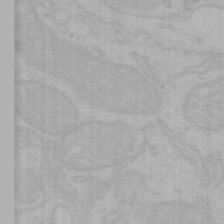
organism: Mouse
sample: Choroid plexus